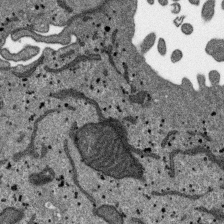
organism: Human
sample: Lung epithelial cells, uninfected (mock) control